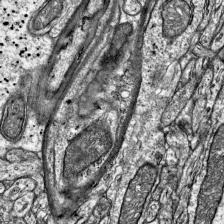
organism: Mouse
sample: Visual Cortex